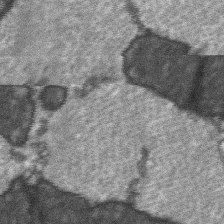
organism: C57BL Mouse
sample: Soleus